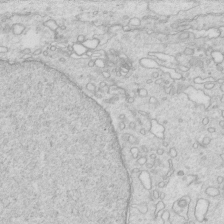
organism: Mouse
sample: Multiciliated cells